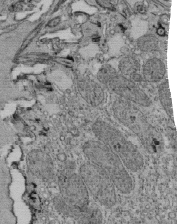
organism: Tetrahymena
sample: Cilia in tetrahymena